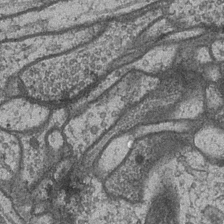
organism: Drosophila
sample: Optic medulla